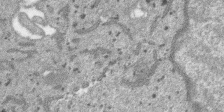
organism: Human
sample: Lung epithelial cells infected with SARS-CoV-2